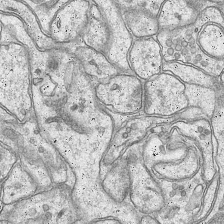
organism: Mouse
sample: CA1 Hippocampus